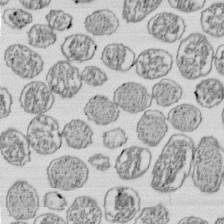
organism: E. coli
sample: Bacterial nucleoid